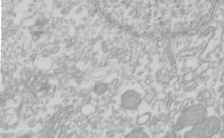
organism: Xenopus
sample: Cilia; centrioles in frog embryo cells